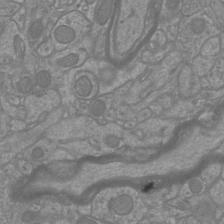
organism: Mouse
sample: Cortical neurons